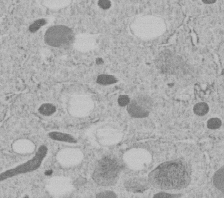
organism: C. elegans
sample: C. elegans embryo early stage